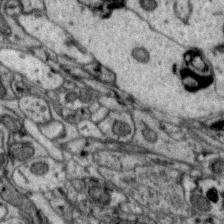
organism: Zebra finch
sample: Brain